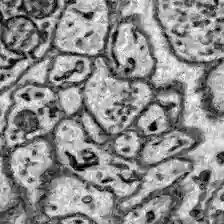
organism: Zebrafish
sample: Brain